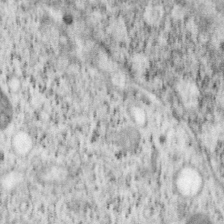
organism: Mouse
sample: OT-I killer T cells with ID8 ovarian cancer cells